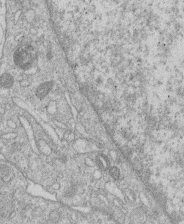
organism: Human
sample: Macrophage cells